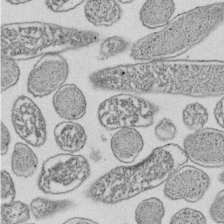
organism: E. coli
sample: Bacterial nucleoid